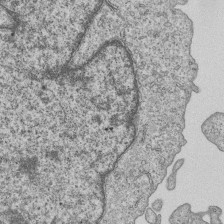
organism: Human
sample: MDA-MB-231 cells